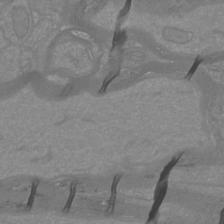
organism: Mouse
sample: Cortical neurons